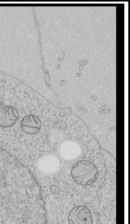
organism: Human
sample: Mitochondria in HCT116 cells